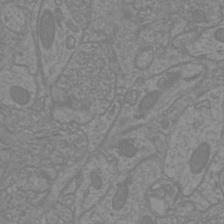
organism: Mouse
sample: Cortical neurons